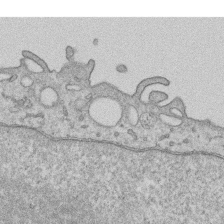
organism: Human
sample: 1205lu cells